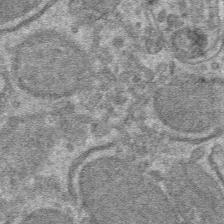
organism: Mouse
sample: Mouse hepatocytes